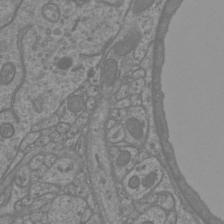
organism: Mouse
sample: Cortical neurons